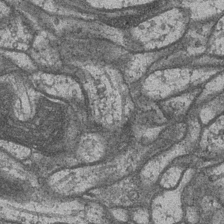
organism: Drosophila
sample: Optic medulla